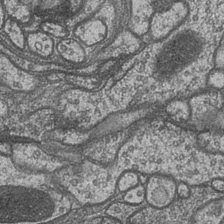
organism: Drosophila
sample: Optic medulla